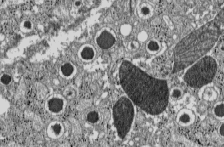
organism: C57BL Mouse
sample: Pancreatic islet